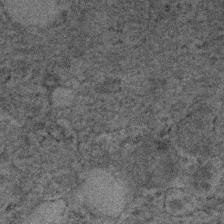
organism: Human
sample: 1205lu cells